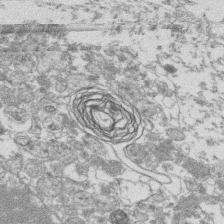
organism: Human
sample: HeLa cell HIV synapse